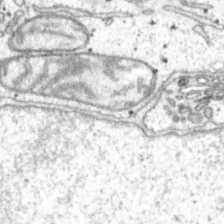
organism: Human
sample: HeLa cells